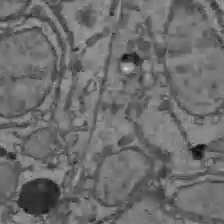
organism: C57BL Mouse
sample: Liver